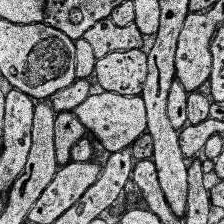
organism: Human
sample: Temporal Lobe